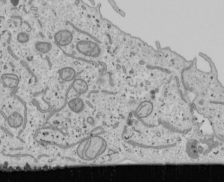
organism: Human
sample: Mitochondria in U2OS cells